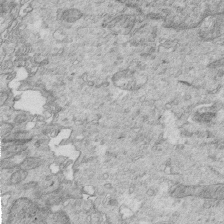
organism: Mouse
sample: Multiciliated cells